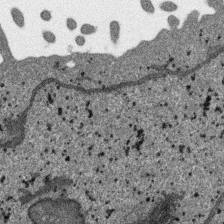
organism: Human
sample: Lung epithelial cells infected with SARS-CoV-2